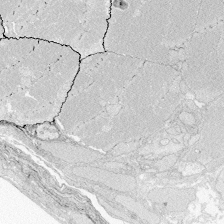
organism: Zebrafish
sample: Whole-Brain